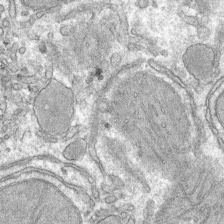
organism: Mouse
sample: Mouse hepatocytes